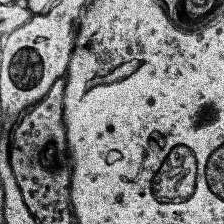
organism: Human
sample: Temporal Lobe